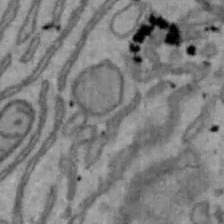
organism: Mouse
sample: Liver